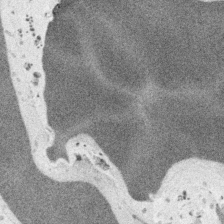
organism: Embia sp.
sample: Silk gland